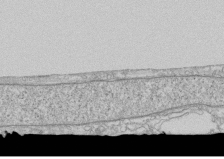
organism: Human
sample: CRL-1474